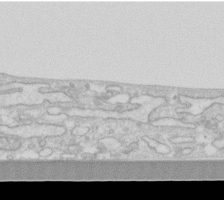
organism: Human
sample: Fibroblast cells